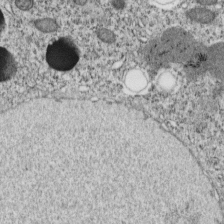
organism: C. elegans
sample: C. elegans embryo early stage